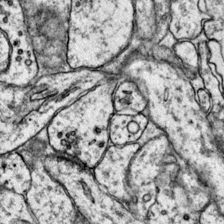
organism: Mouse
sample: Primary visual cortex